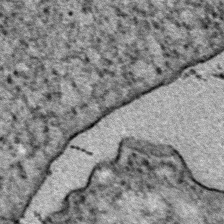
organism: E. coli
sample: E. Coli Bacteria